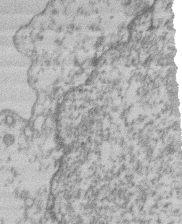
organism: Mouse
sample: T cell stromal cell synapse